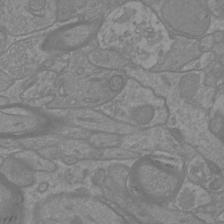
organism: Mouse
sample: Cortical neurons